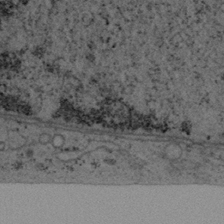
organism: Human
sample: HeLa cells